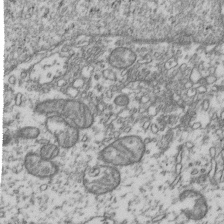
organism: Human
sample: Activated Jurkat CD4+ T cells